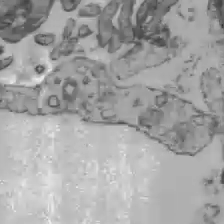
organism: C57BL Mouse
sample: Liver